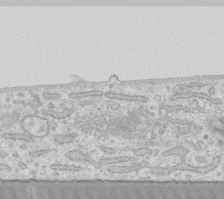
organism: Human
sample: Fibroblast cells